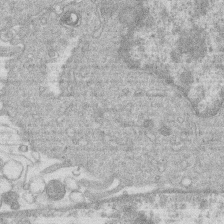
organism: Human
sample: Macrophage cells